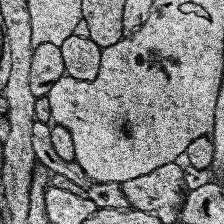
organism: Human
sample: Temporal Lobe